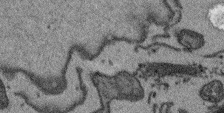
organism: Arabidopsis thaliana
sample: Root tip